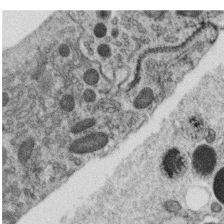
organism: C. elegans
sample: C. elegans oocyte; sperm cells